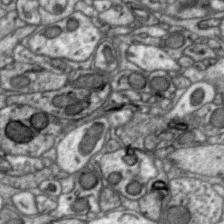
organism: Zebra finch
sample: Brain